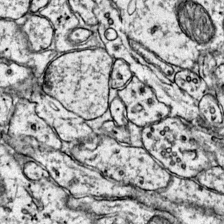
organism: Mouse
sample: Primary visual cortex